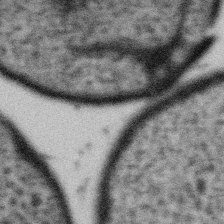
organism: Gemmata obscuriglobus